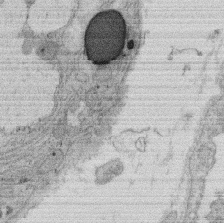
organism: Rat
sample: Salivary granule